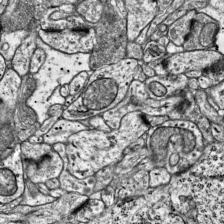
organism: Mouse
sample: Visual Cortex